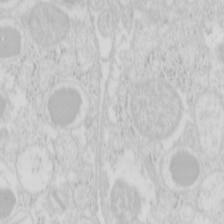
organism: Mouse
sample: Pancreas